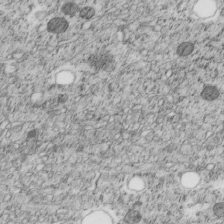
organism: C. elegans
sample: C. elegans embryo early stage